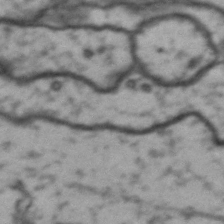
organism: Drosophila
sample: Brain